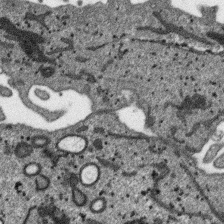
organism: Human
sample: Lung epithelial cells infected with SARS-CoV-2